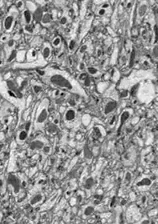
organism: Drosophila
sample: Optic lobe